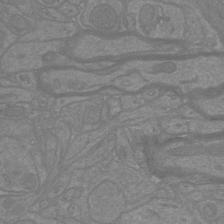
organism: Mouse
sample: Cortical neurons